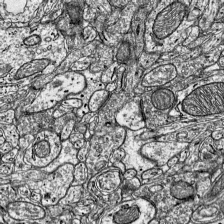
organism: Mouse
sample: Visual Cortex